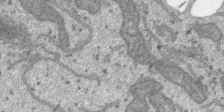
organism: Human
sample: Lung epithelial cells infected with SARS-CoV-2